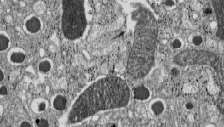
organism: C57BL Mouse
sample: Pancreatic islet